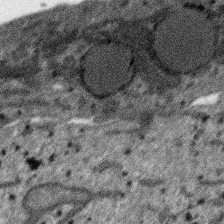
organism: Human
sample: Lung epithelial cells infected with SARS-CoV-2